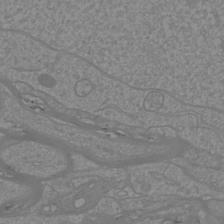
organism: Mouse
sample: Cortical neurons